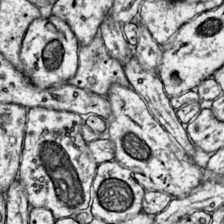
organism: Mouse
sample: Primary visual cortex